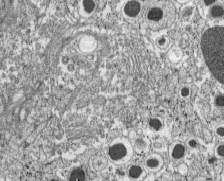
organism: C57BL Mouse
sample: Pancreatic islet